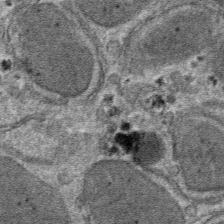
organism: Mouse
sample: Mouse hepatocytes